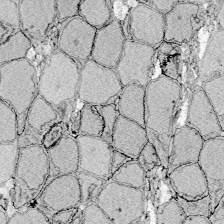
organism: Zebrafish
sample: Whole-Brain